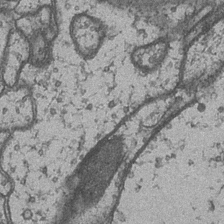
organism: Drosophila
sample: Optic medulla